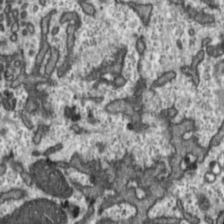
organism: Toxoplasma gondii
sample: Parasites in a vacuole inside a host cell